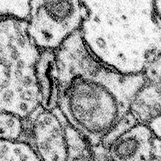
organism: Mouse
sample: Somatosensory cortex neuropil